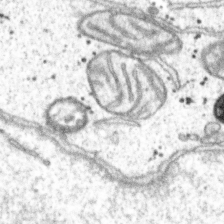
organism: Human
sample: HeLa cells